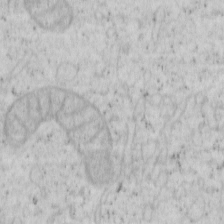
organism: Human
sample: HeLa cells